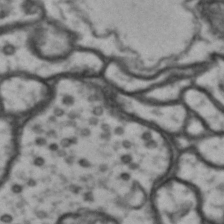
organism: Drosophila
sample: Brain